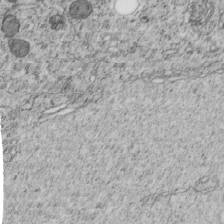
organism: C. elegans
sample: C. elegans embryo early stage